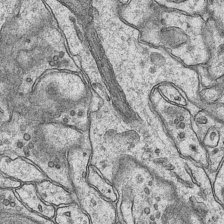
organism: Mouse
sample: CA1 Hippocampus